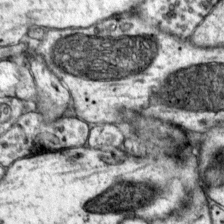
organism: Mouse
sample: Primary visual cortex